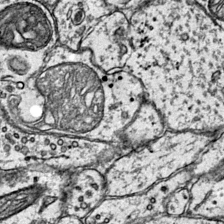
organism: Mouse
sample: Primary visual cortex